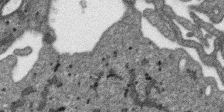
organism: Human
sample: Lung epithelial cells infected with SARS-CoV-2